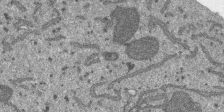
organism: Human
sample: Lung epithelial cells infected with SARS-CoV-2